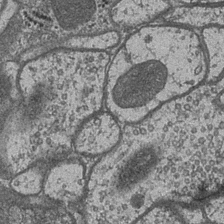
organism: Drosophila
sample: Optic medulla